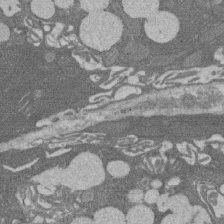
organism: Rat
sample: Salivary granule